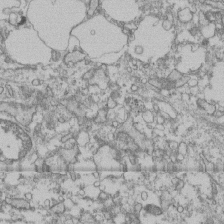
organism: Human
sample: Fibroblast cells